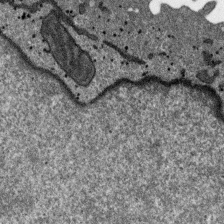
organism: Human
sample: Lung epithelial cells, uninfected (mock) control